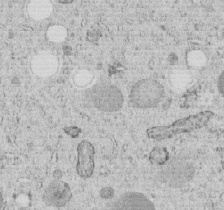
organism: C. elegans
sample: C. elegans embryo early stage